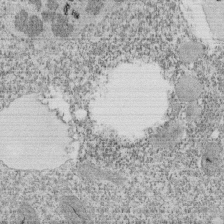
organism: Tetrahymena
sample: Cilia in tetrahymena